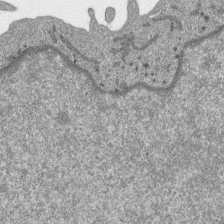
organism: Human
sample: Lung epithelial cells infected with SARS-CoV-2